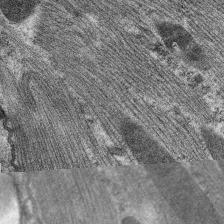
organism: C. elegans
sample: Pharynx